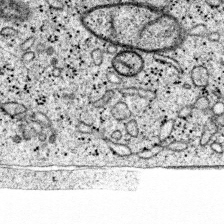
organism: Human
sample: HeLa cells